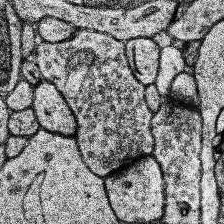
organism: Human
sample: Temporal Lobe